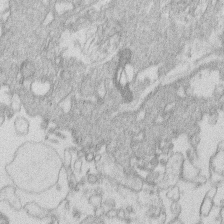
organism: Human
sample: Macrophage cells